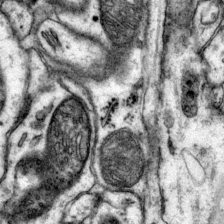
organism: Mouse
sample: Primary visual cortex